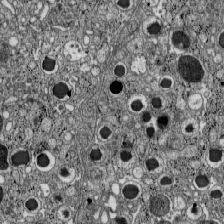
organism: C57BL Mouse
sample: Pancreatic islet